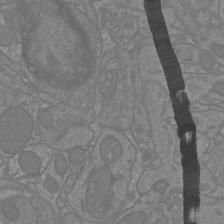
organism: Mouse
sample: Cortical neurons